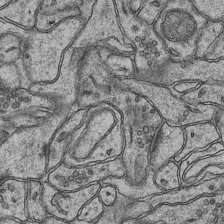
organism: Mouse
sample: CA1 Hippocampus